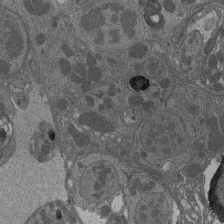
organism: Drosophila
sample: Antenna